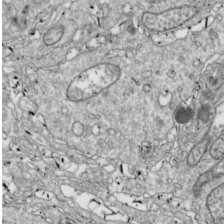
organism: Drosophila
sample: Cell division; meiosis; drosophila spermatocytes